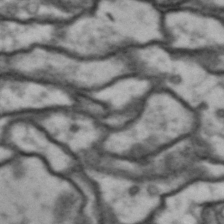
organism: Drosophila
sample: Brain